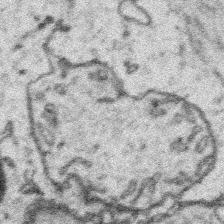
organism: Platynereis dumerilii